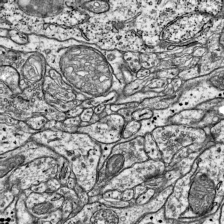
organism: Mouse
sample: Visual Cortex